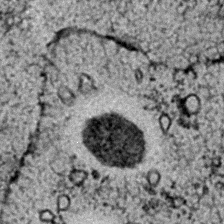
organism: C. elegans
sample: C. elegans embryo